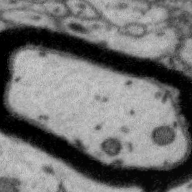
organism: Zebra finch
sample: Brain